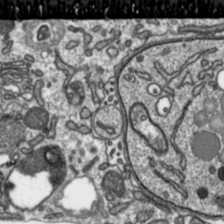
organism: Toxoplasma gondii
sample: Parasites in a vacuole inside a host cell